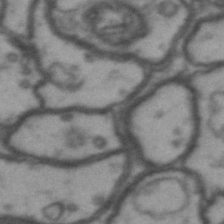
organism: Drosophila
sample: Brain